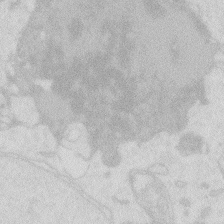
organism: Zebrafish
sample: Macrophage